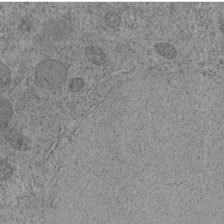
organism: C. elegans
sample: C. elegans embryo early stage